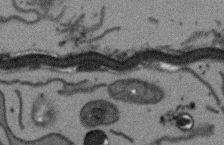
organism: Arabidopsis thaliana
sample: Root tip